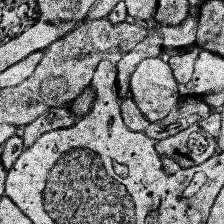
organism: Human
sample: Temporal Lobe